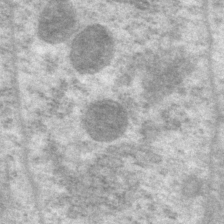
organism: P. pacificus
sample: Pharynx